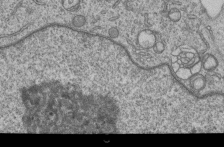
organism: Human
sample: MDA-MB-231 cells